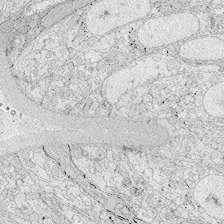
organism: Zebrafish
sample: Whole-Brain